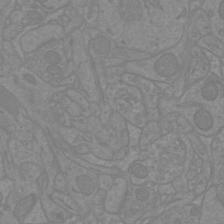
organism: Mouse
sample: Cortical neurons